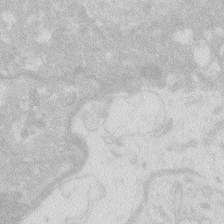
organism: Zebrafish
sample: Macrophage